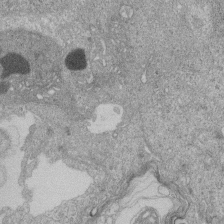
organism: Human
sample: Retinal organoid Rod and Cone cells